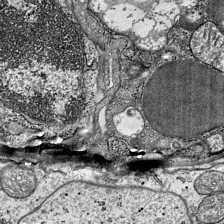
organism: Mouse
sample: Visual Cortex